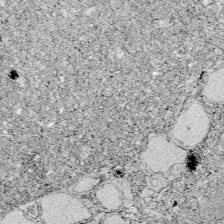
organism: Zebrafish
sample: Whole-Brain